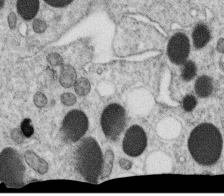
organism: C. elegans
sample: C. elegans oocyte; sperm cells